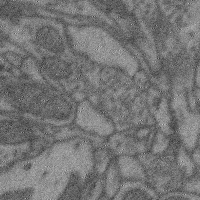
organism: Mouse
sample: Cerebral cortex